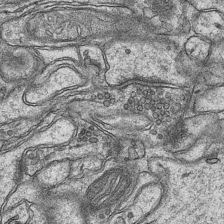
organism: Mouse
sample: CA1 Hippocampus